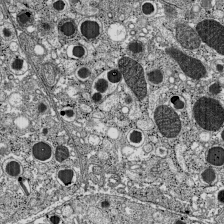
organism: C57BL Mouse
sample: Pancreatic islet